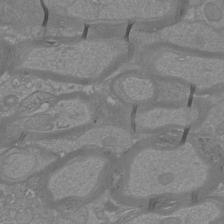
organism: Mouse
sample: Cortical neurons